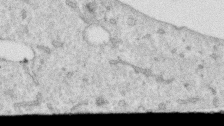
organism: Human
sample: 1205lu cells